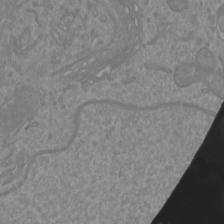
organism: Mouse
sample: Cortical neurons